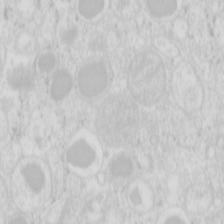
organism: Mouse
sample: Pancreas